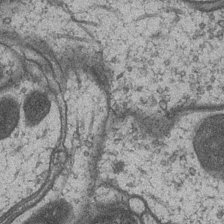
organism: Drosophila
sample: Optic medulla